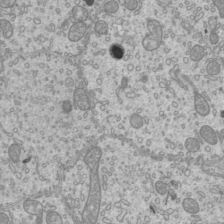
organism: Mouse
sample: Cilia; mouse epididymis